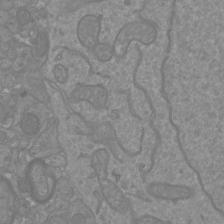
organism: Mouse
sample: Cortical neurons